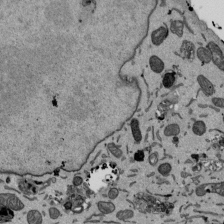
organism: Mouse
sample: ED-1 cell nuclei; centrioles